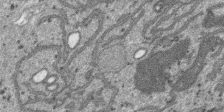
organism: Human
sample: Lung epithelial cells infected with SARS-CoV-2